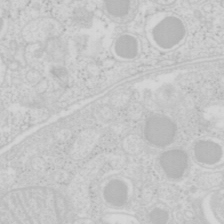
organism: Mouse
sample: Pancreas